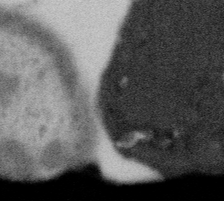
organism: Gemmata obscuriglobus